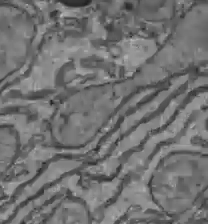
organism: C57BL Mouse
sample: Liver